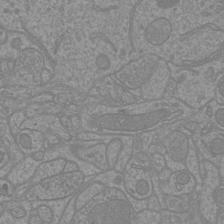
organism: Mouse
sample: Cortical neurons